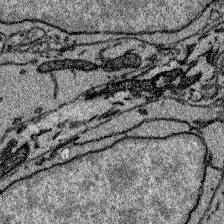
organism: Zebrafish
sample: Larval olfactory bulb